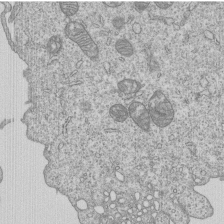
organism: Human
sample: MDA-MB-231 cells